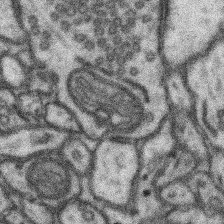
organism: Mouse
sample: Somatosensory cortex neuropil